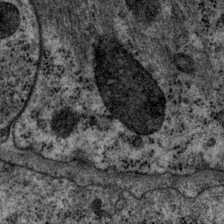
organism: P. pacificus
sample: Pharynx